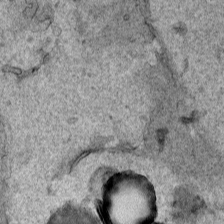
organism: Human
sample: Mitochondria in HCT116 cells